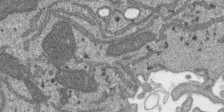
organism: Human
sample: Lung epithelial cells infected with SARS-CoV-2